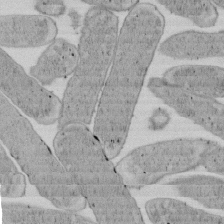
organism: E. coli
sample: Bacterial nucleoid